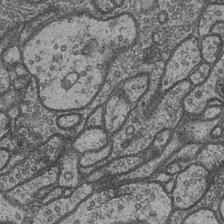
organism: Drosophila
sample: Optic medulla